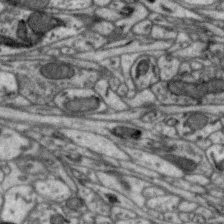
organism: Zebra finch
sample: Brain